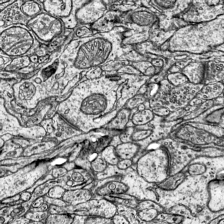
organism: Mouse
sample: Visual Cortex